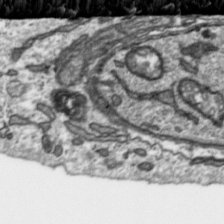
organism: Toxoplasma gondii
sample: Parasites in a vacuole inside a host cell